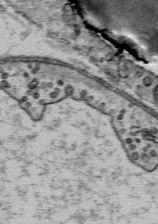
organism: Mouse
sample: Mouse Salivary gland